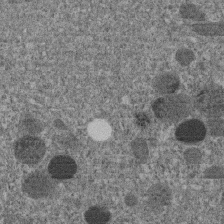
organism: C. elegans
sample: C. elegans embryo early stage